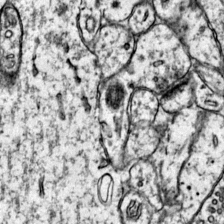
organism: Mouse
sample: Primary visual cortex